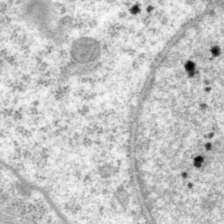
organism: P. pacificus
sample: Pharynx